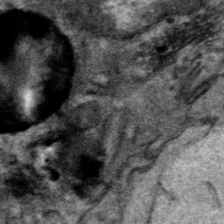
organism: Mouse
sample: Mouse hepatocytes